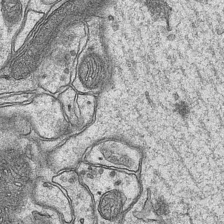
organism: Mouse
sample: CA1 Hippocampus